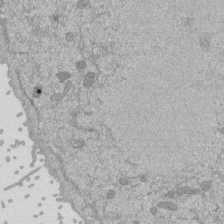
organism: Mouse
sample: ED-1 cell nuclei; centrioles